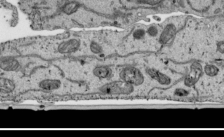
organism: Human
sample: Mitochondria in HCT116 cells